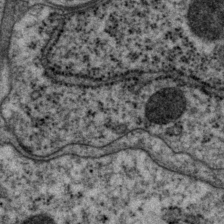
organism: P. pacificus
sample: Pharynx